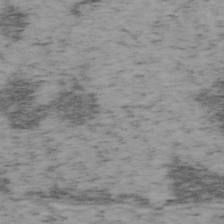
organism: Mouse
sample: OT-I killer T cells with ID8 ovarian cancer cells